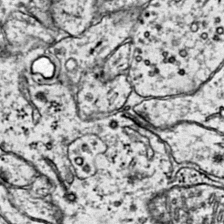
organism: Mouse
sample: Primary visual cortex